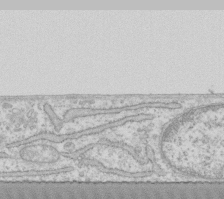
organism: Human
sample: Fibroblast cells